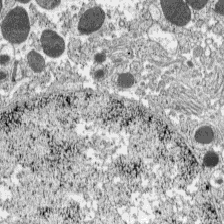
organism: C57BL Mouse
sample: Pancreatic islet